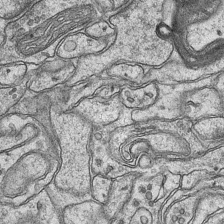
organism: Mouse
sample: CA1 Hippocampus